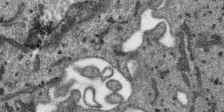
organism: Human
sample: Lung epithelial cells infected with SARS-CoV-2